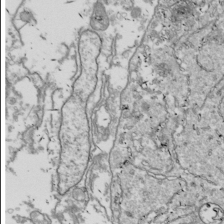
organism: Drosophila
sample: Cell division; meiosis; drosophila spermatocytes